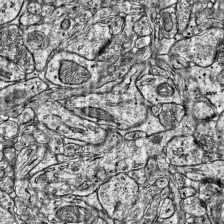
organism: Mouse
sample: Visual Cortex